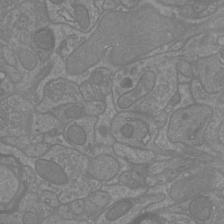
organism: Mouse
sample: Cortical neurons